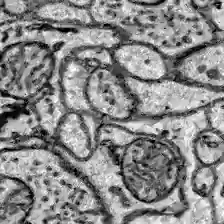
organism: Zebrafish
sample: Brain